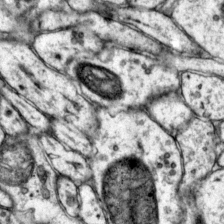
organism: Mouse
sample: Primary visual cortex